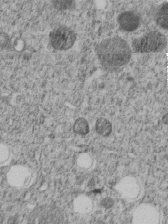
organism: C. elegans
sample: C. elegans embryo early stage